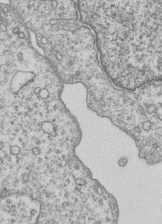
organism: Human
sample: MDA-MB-231 cells